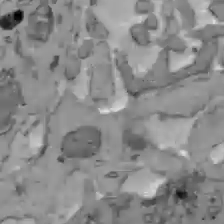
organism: C57BL Mouse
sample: Liver